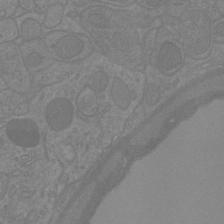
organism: Mouse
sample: Cortical neurons